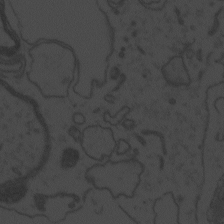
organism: Zebrafish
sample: Macrophage infected with Toxoplasma gondii